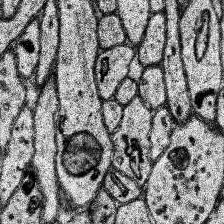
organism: Human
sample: Temporal Lobe